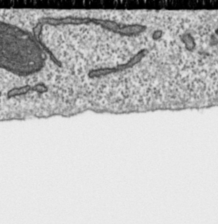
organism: Toxoplasma gondii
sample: Parasites in a vacuole inside a host cell